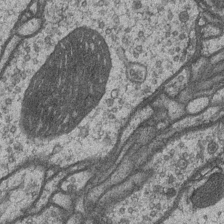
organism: Drosophila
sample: Optic medulla